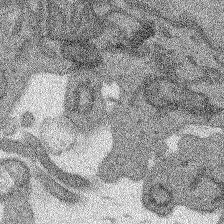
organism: Human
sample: HeLa cells